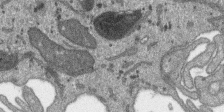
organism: Human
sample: Lung epithelial cells infected with SARS-CoV-2